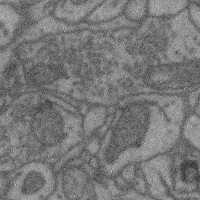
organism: Mouse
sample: Cerebral cortex